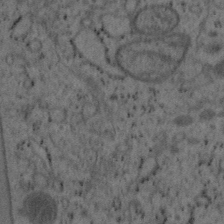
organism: Human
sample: HeLa cells